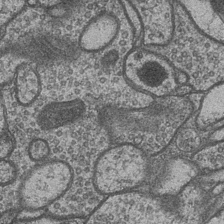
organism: Drosophila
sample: Optic medulla